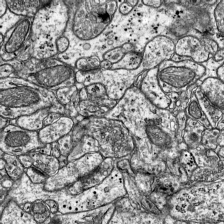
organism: Mouse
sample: Visual Cortex